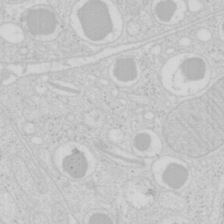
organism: Mouse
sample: Pancreas